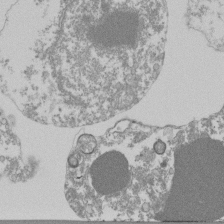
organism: Mouse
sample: Activated Pmel transgenic CD8+ T Cells